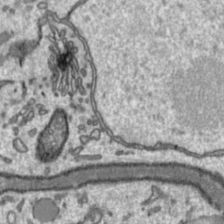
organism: Toxoplasma gondii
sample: Parasites in a vacuole inside a host cell